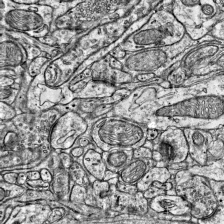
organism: Mouse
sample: Visual Cortex